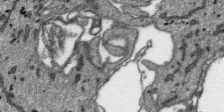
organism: Human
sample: Lung epithelial cells, uninfected (mock) control